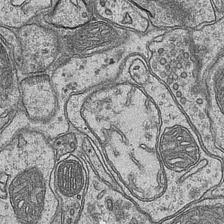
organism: Mouse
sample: CA1 Hippocampus